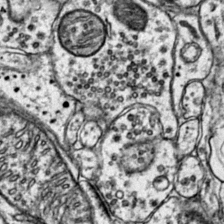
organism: Mouse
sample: Primary visual cortex